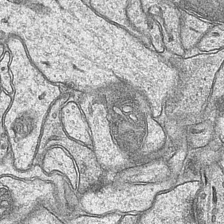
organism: Mouse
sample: CA1 Hippocampus